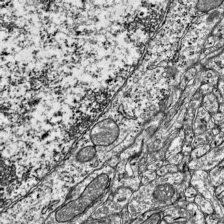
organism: Mouse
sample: Visual Cortex